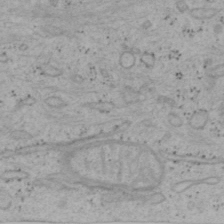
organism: Human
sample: HeLa cells